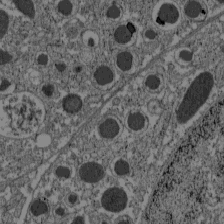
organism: C57BL Mouse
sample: Pancreatic islet